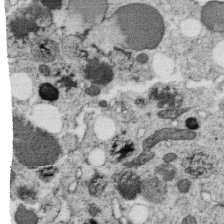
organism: C. elegans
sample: C. elegans oocyte; sperm cells